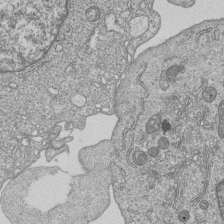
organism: Human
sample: MDA-MB-231 cells